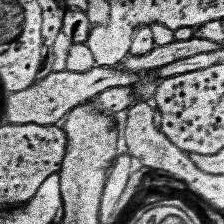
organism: Human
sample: Temporal Lobe